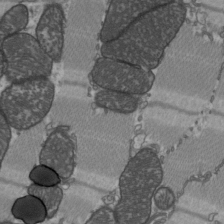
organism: C57BL Mouse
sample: Heart